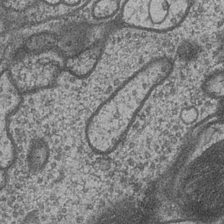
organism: Drosophila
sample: Optic medulla